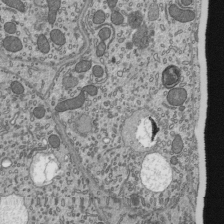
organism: Mouse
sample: Mouse epididymis efferent ductule cilia